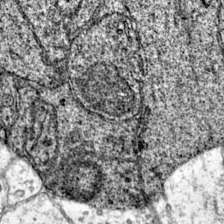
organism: Mouse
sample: Primary visual cortex